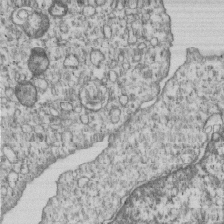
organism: Human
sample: MDA-MB-231 cells